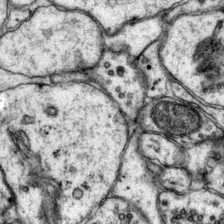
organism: Mouse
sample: Primary visual cortex